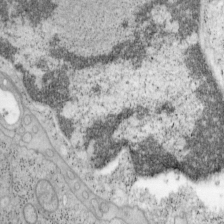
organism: Mouse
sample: OT-I killer T cells with ID8 ovarian cancer cells